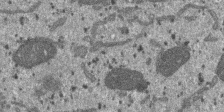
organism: Human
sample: Lung epithelial cells infected with SARS-CoV-2